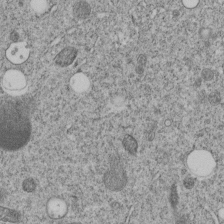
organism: C. elegans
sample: C. elegans embryo early stage